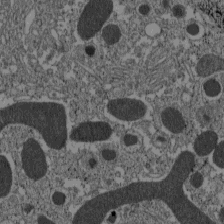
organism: C57BL Mouse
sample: Pancreatic islet